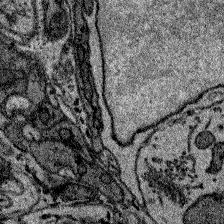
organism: Zebrafish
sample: Larval olfactory bulb